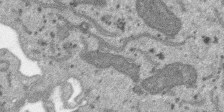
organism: Human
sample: Lung epithelial cells infected with SARS-CoV-2